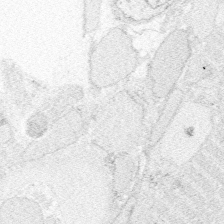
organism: Zebrafish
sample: Whole-Brain